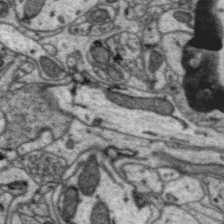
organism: Zebra finch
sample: Brain